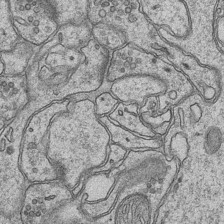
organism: Mouse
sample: CA1 Hippocampus